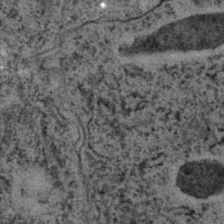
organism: C. elegans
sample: C. elegans embryo